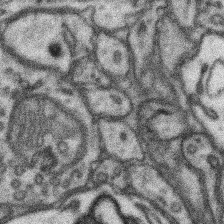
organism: Mouse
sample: Somatosensory cortex neuropil